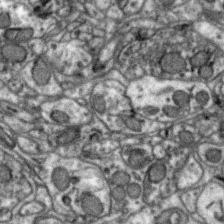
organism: Zebra finch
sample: Brain